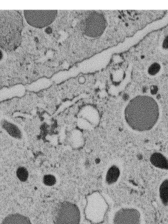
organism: C. elegans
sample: C. elegans embryo early stage